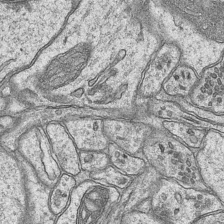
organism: Mouse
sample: CA1 Hippocampus